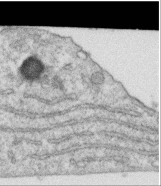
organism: Human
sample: Centriole in RPE cells